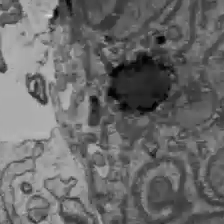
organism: C57BL Mouse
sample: Liver